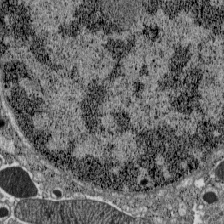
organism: C57BL Mouse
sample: Pancreatic islet